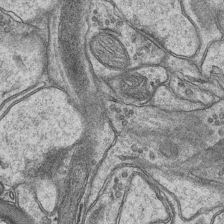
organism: Mouse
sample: CA1 Hippocampus